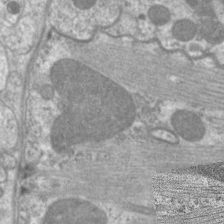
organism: C. elegans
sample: Pharynx